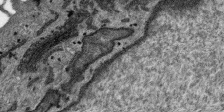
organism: Human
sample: Lung epithelial cells, uninfected (mock) control